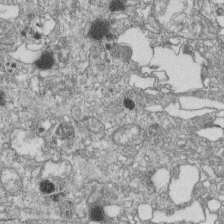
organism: Human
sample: HeLa cell HIV synapse